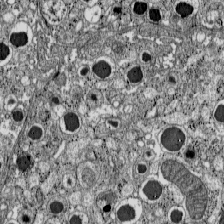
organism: C57BL Mouse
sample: Pancreatic islet